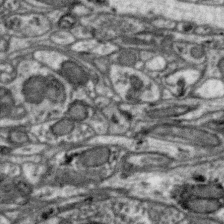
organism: Zebra finch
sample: Brain